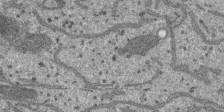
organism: Human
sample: Lung epithelial cells infected with SARS-CoV-2